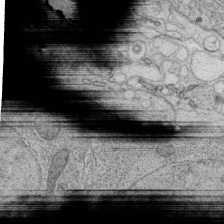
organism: C. elegans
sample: C. elegans oocyte; sperm cells